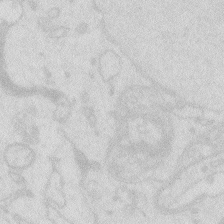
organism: Zebrafish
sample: Macrophage